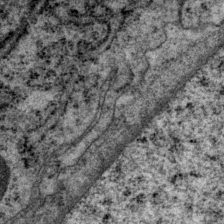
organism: P. pacificus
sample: Pharynx